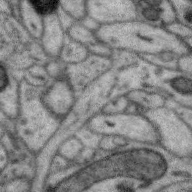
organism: Zebra finch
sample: Brain